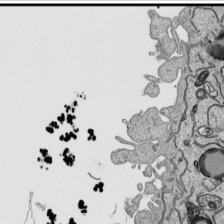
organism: Human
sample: Mitochondria in HCT116 cells